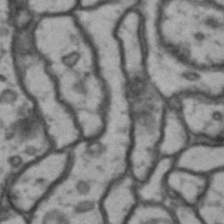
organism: Drosophila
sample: Brain